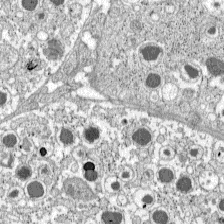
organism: C57BL Mouse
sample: Pancreatic islet